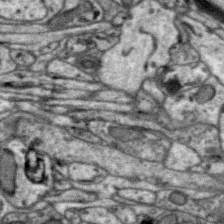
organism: Zebra finch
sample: Brain